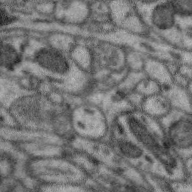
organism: Zebra finch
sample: Brain